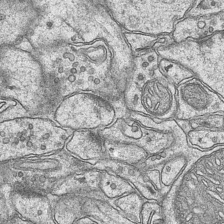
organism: Mouse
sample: CA1 Hippocampus